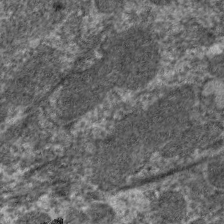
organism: C. elegans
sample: Pharynx